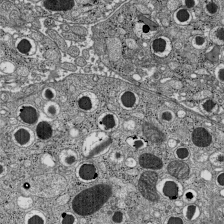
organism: C57BL Mouse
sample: Pancreatic islet